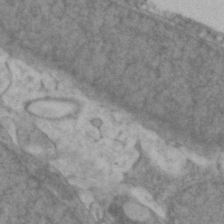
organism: Zebrafish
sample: Zebrafish embryo